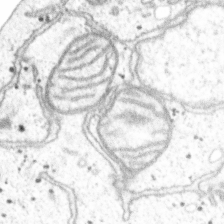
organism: Human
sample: HeLa cells